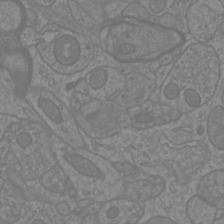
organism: Mouse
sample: Cortical neurons